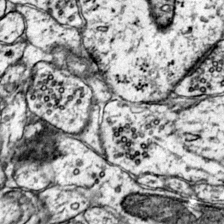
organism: Mouse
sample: Primary visual cortex